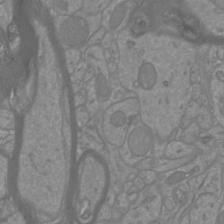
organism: Mouse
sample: Cortical neurons